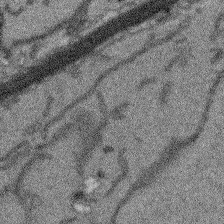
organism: Arabidopsis thaliana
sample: Root tip